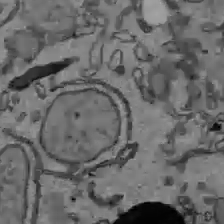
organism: C57BL Mouse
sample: Liver